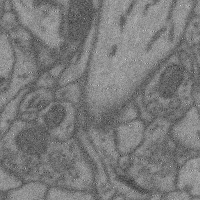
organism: Mouse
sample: Cerebral cortex